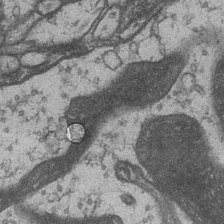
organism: Drosophila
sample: Optic medulla